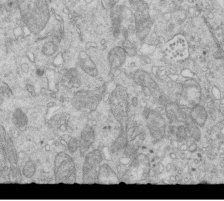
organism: Mouse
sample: Multiciliated cells